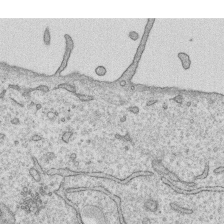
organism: Human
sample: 1205lu cells